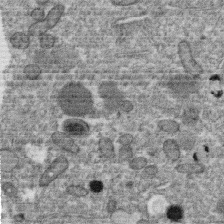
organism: C. elegans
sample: C. elegans oocyte; sperm cells